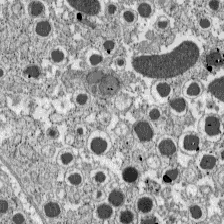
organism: C57BL Mouse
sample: Pancreatic islet